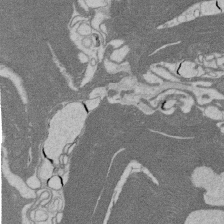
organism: Rat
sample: Salivary granule